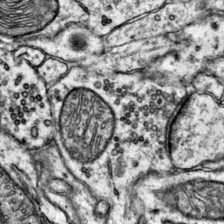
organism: Mouse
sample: Primary visual cortex